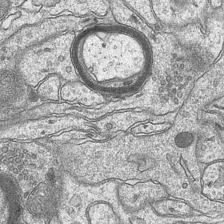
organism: Mouse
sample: CA1 Hippocampus